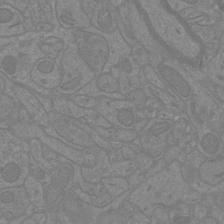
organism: Mouse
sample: Cortical neurons